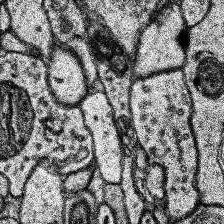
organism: Human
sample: Temporal Lobe